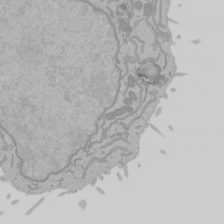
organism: Mouse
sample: Cancer cell death in ED-1 cells